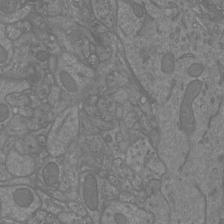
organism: Mouse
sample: Cortical neurons